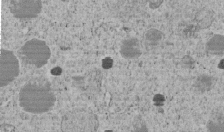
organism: C. elegans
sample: C. elegans embryo early stage